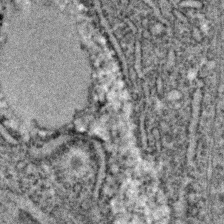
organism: C. elegans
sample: C. elegans embryo